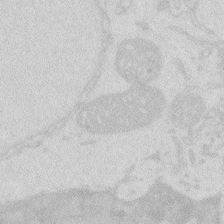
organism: Zebrafish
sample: Macrophage